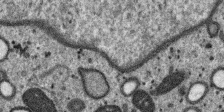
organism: Human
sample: Lung epithelial cells infected with SARS-CoV-2